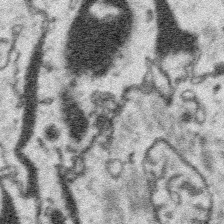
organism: Platynereis dumerilii